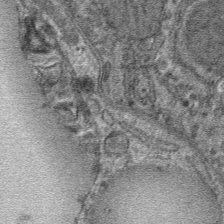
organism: Mouse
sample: Mouse hepatocytes